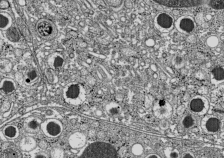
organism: C57BL Mouse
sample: Pancreatic islet